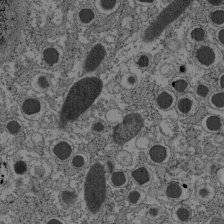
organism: C57BL Mouse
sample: Pancreatic islet